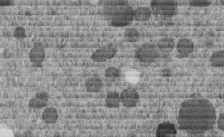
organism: C. elegans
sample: C. elegans embryo early stage